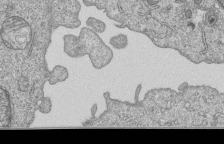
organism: Human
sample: MDA-MB-231 cells